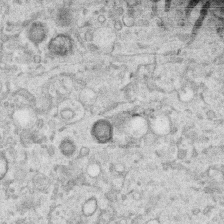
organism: Human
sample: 1205lu cells